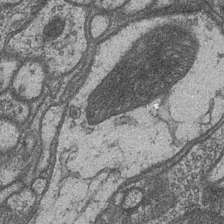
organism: Drosophila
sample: Optic medulla